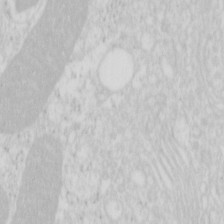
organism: Mouse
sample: Pancreas